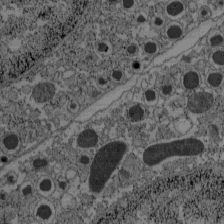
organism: C57BL Mouse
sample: Pancreatic islet